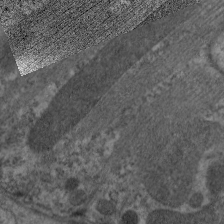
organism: C. elegans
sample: Pharynx